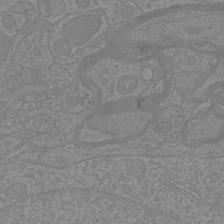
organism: Mouse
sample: Cortical neurons